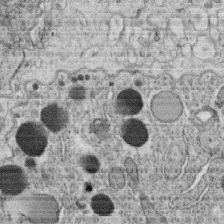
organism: C. elegans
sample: C. elegans oocyte; sperm cells